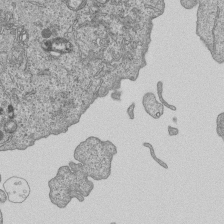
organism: Human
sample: MDA-MB-231 cells